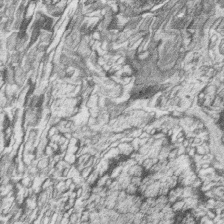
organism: Zebrafish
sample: synaptic ribbons in rod cells and cone cells